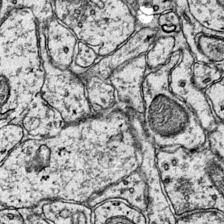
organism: Mouse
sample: Primary visual cortex